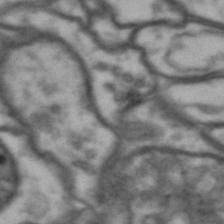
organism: Drosophila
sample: Brain